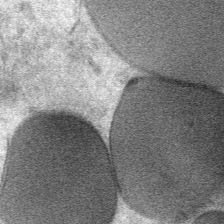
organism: Mouse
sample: Mouse Salivary gland